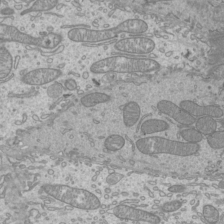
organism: Mouse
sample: Cilia; mouse epididymis